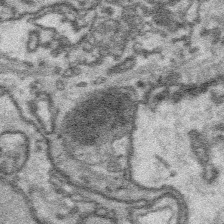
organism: Platynereis dumerilii